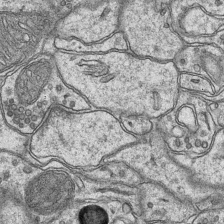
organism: Mouse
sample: CA1 Hippocampus